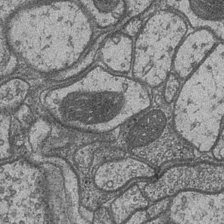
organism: Drosophila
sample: Optic medulla